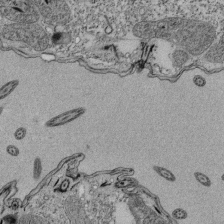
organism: Tetrahymena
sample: Cilia in tetrahymena